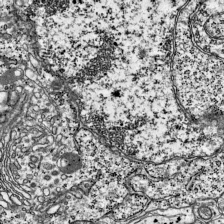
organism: Mouse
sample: Visual Cortex